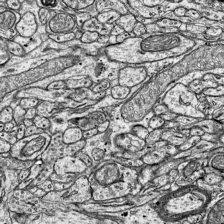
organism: Mouse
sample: Visual Cortex